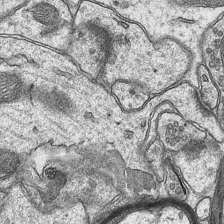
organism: Mouse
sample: CA1 Hippocampus